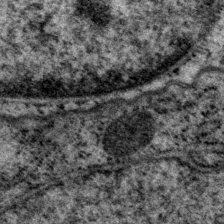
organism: P. pacificus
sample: Pharynx